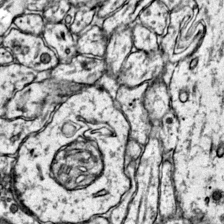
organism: Mouse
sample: Primary visual cortex